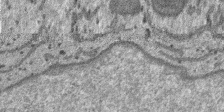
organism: Human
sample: Lung epithelial cells infected with SARS-CoV-2